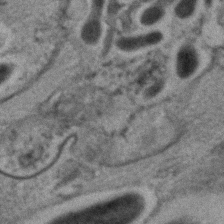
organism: C. elegans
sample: C. elegans embryo